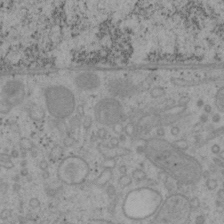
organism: Human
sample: HeLa cells